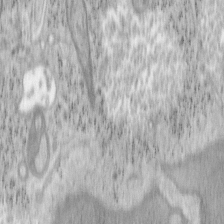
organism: Human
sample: HeLa cells